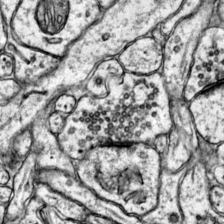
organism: Mouse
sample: Primary visual cortex